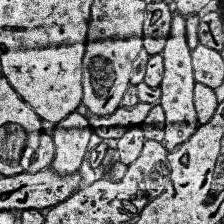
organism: Human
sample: Temporal Lobe